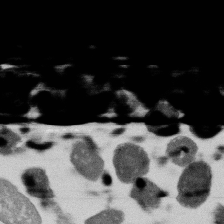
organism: E. coli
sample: Bacterial nucleoid